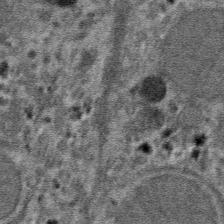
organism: Mouse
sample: Mouse hepatocytes